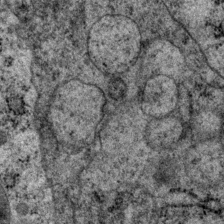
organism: P. pacificus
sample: Pharynx